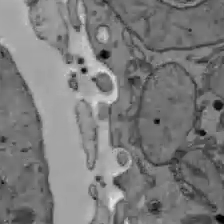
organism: C57BL Mouse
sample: Liver